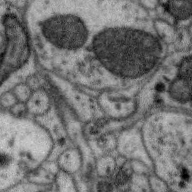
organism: Zebra finch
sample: Brain